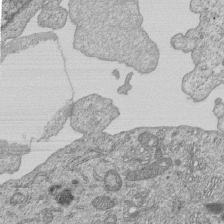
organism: Human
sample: MDA-MB-231 cells